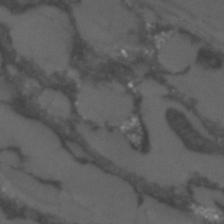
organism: C. elegans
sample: C. elegans embryo